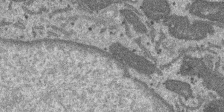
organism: Human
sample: Lung epithelial cells infected with SARS-CoV-2